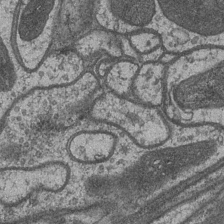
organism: Drosophila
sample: Optic medulla